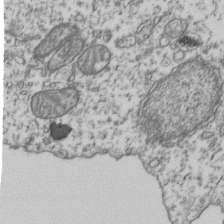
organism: Human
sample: Activated Jurkat CD4+ T cells